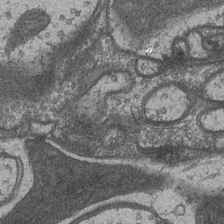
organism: Drosophila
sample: Optic medulla